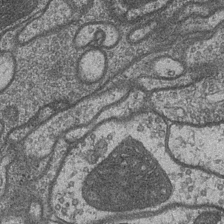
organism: Drosophila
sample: Optic medulla